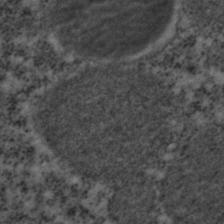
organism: C. elegans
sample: C. elegans embryo